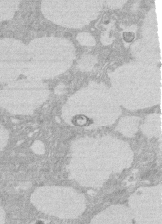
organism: Rat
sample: Salivary granule